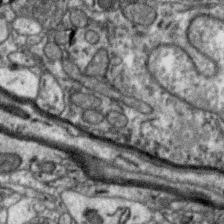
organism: Zebra finch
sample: Brain